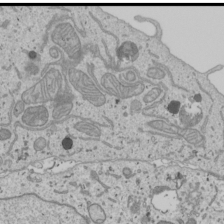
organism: Human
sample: Mitochondria in U2OS cells